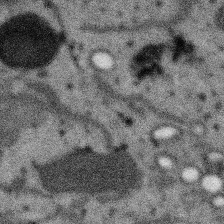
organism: Human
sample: Lung epithelial cells infected with SARS-CoV-2